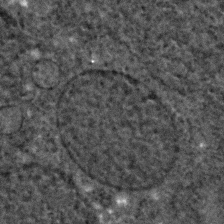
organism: C. elegans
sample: C. elegans embryo